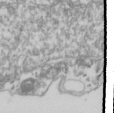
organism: Drosophila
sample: Cell division; meiosis; drosophila spermatocytes